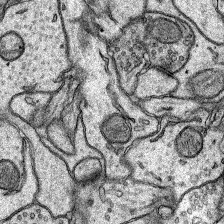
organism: Rat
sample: Hippocampus